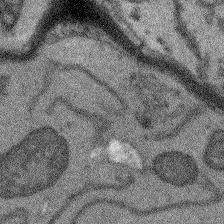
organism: Arabidopsis thaliana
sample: Root tip